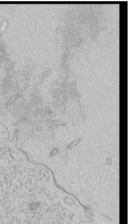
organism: Human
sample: Mitochondria in HCT116 cells